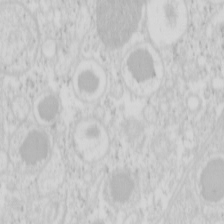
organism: Mouse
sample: Pancreas